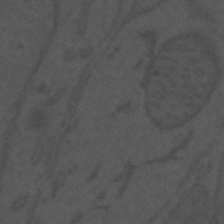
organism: Mouse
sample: Suprachiasmatic nucleus